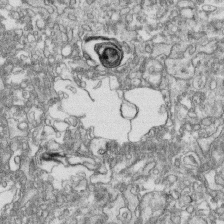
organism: Human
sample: CRL-1474